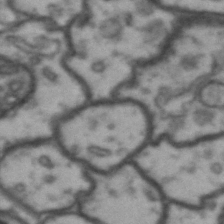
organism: Drosophila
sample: Brain